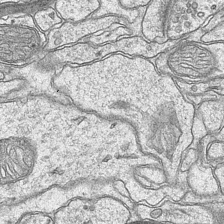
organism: Mouse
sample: CA1 Hippocampus